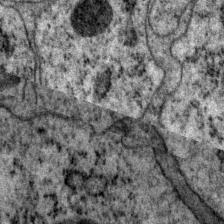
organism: P. pacificus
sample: Pharynx